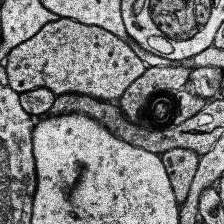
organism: Human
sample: Temporal Lobe